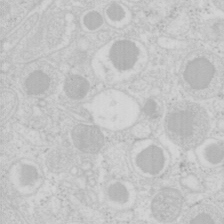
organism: Mouse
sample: Pancreas